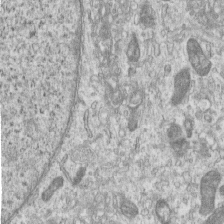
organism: Human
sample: Centriole in RPE cells